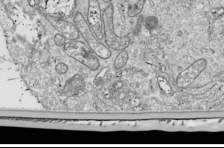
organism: Drosophila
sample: Cell division; meiosis; drosophila spermatocytes